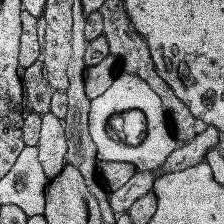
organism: Human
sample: Temporal Lobe